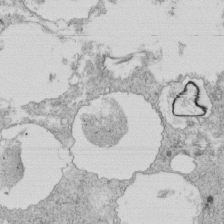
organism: Tetrahymena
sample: Cilia in tetrahymena